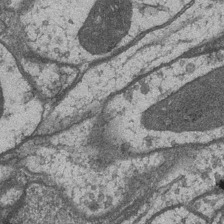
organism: Drosophila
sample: Optic medulla